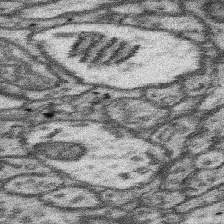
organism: Mouse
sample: Somatosensory cortex neuropil